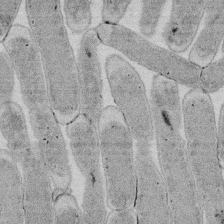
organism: E. coli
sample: Bacterial nucleoid